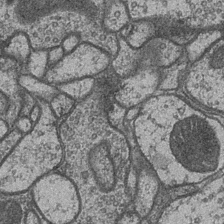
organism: Drosophila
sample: Optic medulla